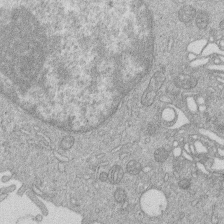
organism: Human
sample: Macrophage cells